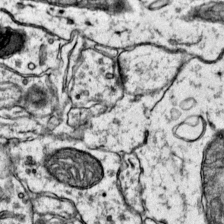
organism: Mouse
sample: Primary visual cortex